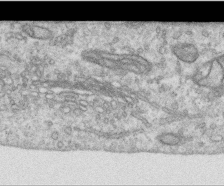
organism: Human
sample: Centriole in RPE cells